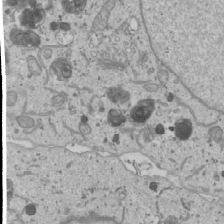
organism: Human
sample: Mitochondria in U2OS cells